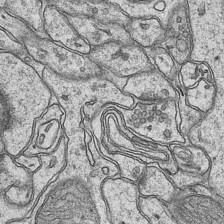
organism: Mouse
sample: CA1 Hippocampus